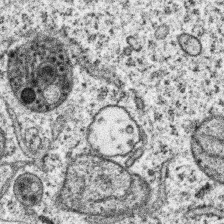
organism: Human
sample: HeLa cells